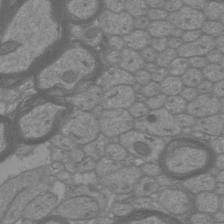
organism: Mouse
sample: Cortical neurons